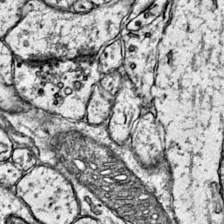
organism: Mouse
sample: Primary visual cortex